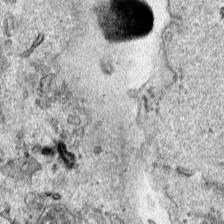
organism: Human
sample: Mitochondria in HCT116 cells